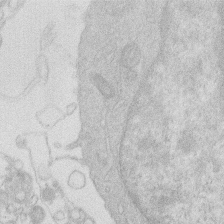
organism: Human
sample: Macrophage cells